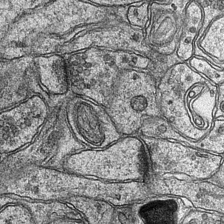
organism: Mouse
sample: CA1 Hippocampus